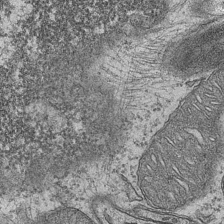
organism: Mouse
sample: CA1 Hippocampus